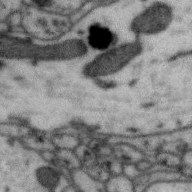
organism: Zebra finch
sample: Brain